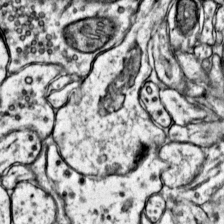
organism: Mouse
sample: Primary visual cortex